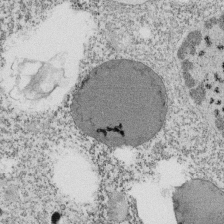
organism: Tetrahymena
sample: Cilia in tetrahymena